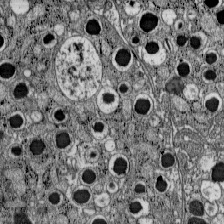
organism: C57BL Mouse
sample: Pancreatic islet